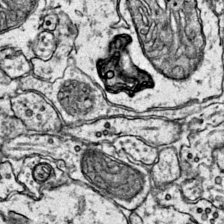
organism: Mouse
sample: Primary visual cortex